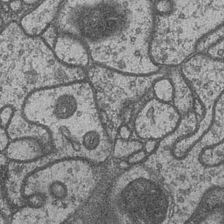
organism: Drosophila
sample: Optic medulla